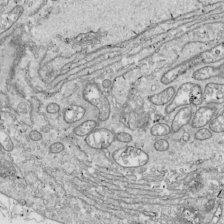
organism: Drosophila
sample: Cell division; meiosis; drosophila spermatocytes